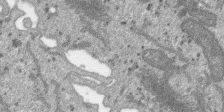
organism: Human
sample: Lung epithelial cells infected with SARS-CoV-2